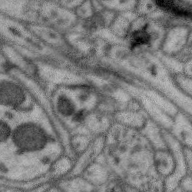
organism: Zebra finch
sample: Brain